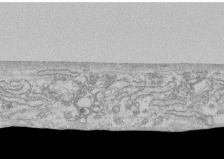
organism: Human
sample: CRL-1474